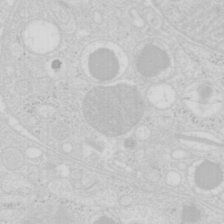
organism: Mouse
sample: Pancreas